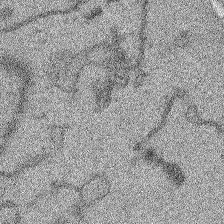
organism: Human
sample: HeLa cells